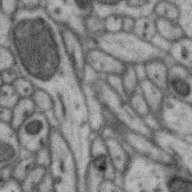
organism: Zebra finch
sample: Brain